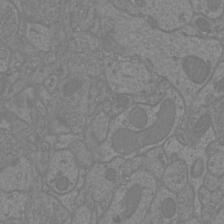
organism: Mouse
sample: Cortical neurons